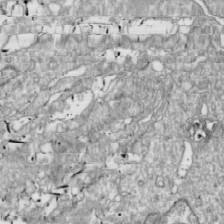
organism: Drosophila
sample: Cell division; meiosis; drosophila spermatocytes